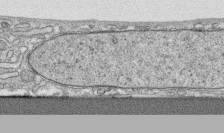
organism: Human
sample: CRL-1474